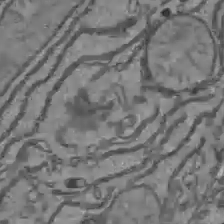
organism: C57BL Mouse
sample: Liver